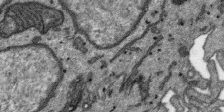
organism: Human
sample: Lung epithelial cells, uninfected (mock) control